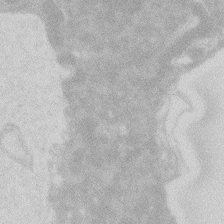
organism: Zebrafish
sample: Macrophage